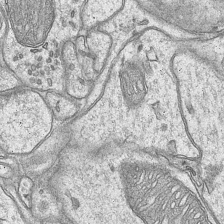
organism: Mouse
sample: CA1 Hippocampus